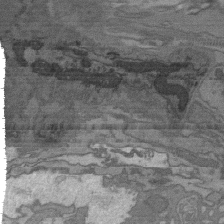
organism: C. elegans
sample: AFD neurons C. elegans